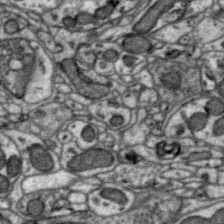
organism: Zebra finch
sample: Brain